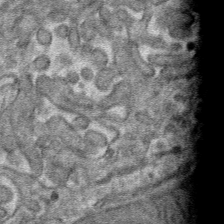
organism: Mouse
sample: Mouse hepatocytes